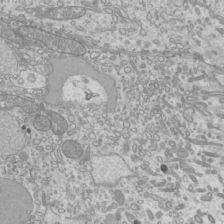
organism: Mouse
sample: Cilia; mouse epididymis